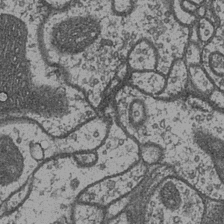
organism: Drosophila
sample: Optic medulla